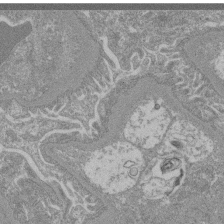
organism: Mouse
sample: Glomerulus